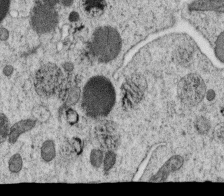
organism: C. elegans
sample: C. elegans oocyte; sperm cells